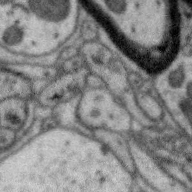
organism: Zebra finch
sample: Brain